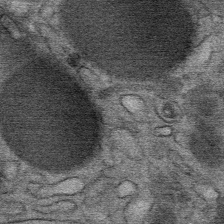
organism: Mouse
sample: Mouse Salivary gland